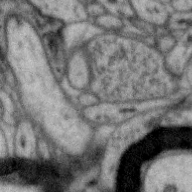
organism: Zebra finch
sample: Brain